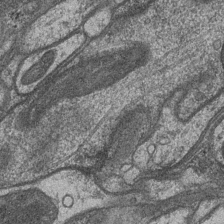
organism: Drosophila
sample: Optic medulla